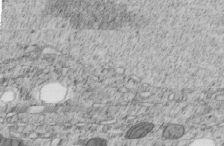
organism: C. elegans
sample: C. elegans embryo early stage